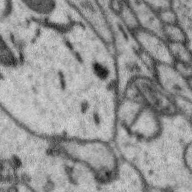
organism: Zebra finch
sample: Brain